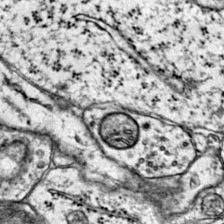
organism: Mouse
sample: Primary visual cortex